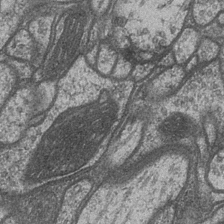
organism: Drosophila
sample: Optic medulla